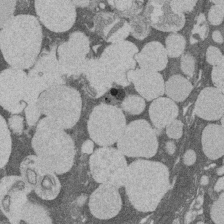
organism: Rat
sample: Salivary granule